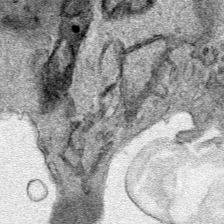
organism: Human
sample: Mitochondria in HCT116 cells